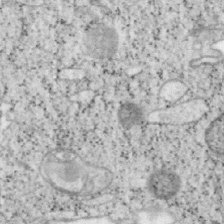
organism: Mouse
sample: OT-I killer T cells with ID8 ovarian cancer cells